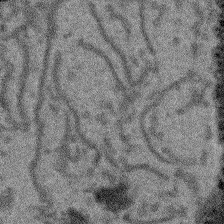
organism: Arabidopsis thaliana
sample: Root tip